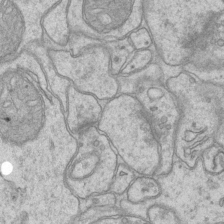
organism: Mouse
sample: CA1 Hippocampus